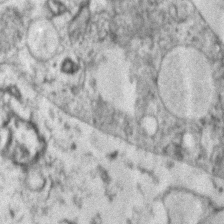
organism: Zebrafish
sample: Zebrafish embryo